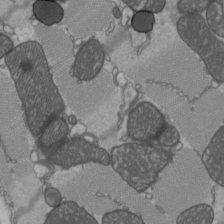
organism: C57BL Mouse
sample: Heart